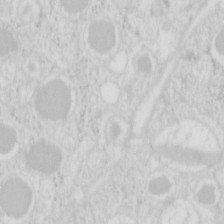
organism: Mouse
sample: Pancreas